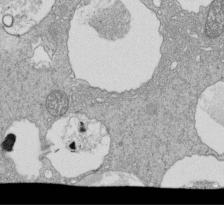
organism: Tetrahymena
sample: Cilia in tetrahymena